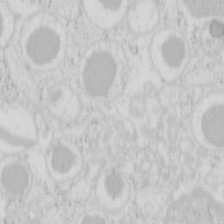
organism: Mouse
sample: Pancreas